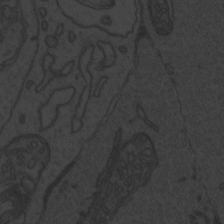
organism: Zebrafish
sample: Macrophage infected with Toxoplasma gondii